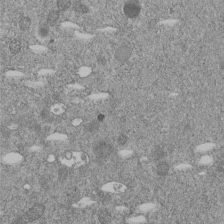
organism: C. elegans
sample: C. elegans embryo early stage